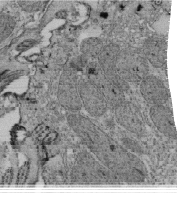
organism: Tetrahymena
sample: Cilia in tetrahymena